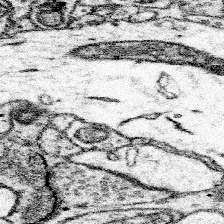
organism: Mouse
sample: Somatosensory cortex neuropil